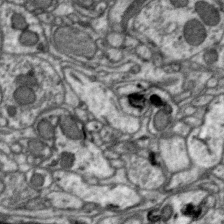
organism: Zebra finch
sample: Brain